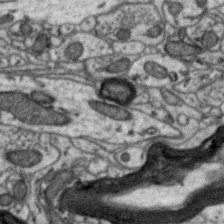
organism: Zebra finch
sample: Brain